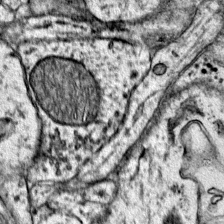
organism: Mouse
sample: Primary visual cortex